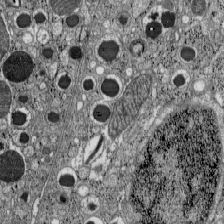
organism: C57BL Mouse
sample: Pancreatic islet